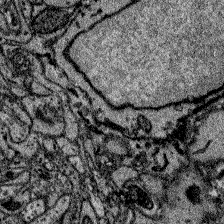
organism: Zebrafish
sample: Larval olfactory bulb